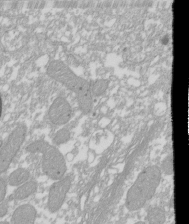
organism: Xenopus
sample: Cilia; centrioles in frog embryo cells